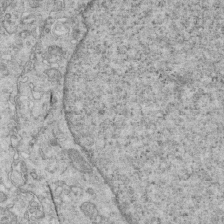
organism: Mouse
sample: Multiciliated cells